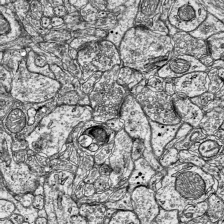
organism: Mouse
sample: Visual Cortex